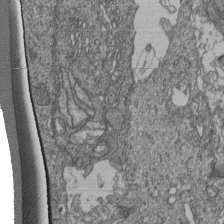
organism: Human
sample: Retinal organoid Rod and Cone cells